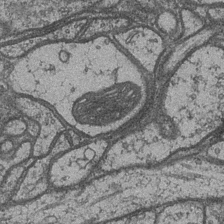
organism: Drosophila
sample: Optic medulla